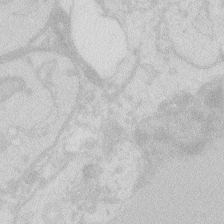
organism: Zebrafish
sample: Macrophage